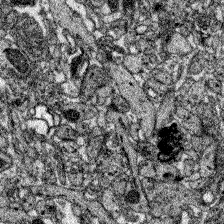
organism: Zebrafish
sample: Larval olfactory bulb